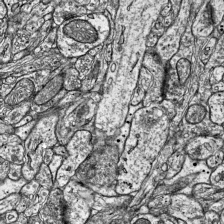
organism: Mouse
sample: Visual Cortex